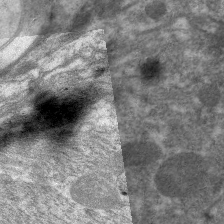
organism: C. elegans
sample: Pharynx